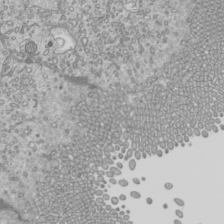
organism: Mouse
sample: Cilia; mouse epididymis